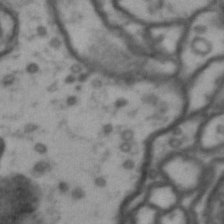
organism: Drosophila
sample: Brain